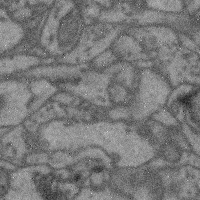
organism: Mouse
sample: Cerebral cortex